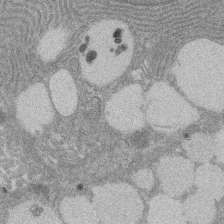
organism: Rat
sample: Salivary granule